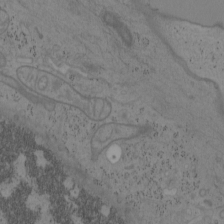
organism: Mouse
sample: OT-I killer T cells with ID8 ovarian cancer cells